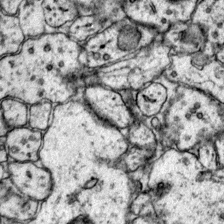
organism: Mouse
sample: Primary visual cortex